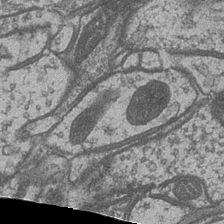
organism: Drosophila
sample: Optic medulla